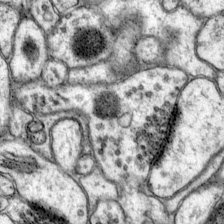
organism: Mouse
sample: Primary visual cortex